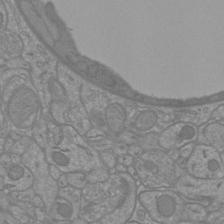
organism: Mouse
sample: Cortical neurons